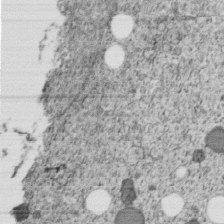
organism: C. elegans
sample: C. elegans embryo early stage